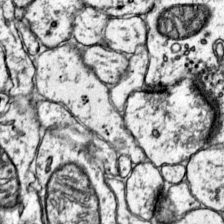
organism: Mouse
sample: Primary visual cortex